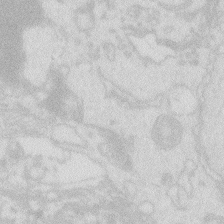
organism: Zebrafish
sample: Macrophage